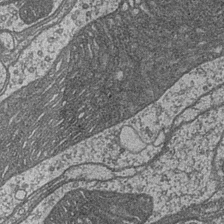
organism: Drosophila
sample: Optic medulla